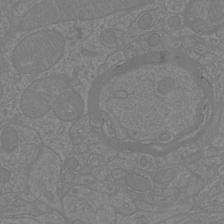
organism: Mouse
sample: Cortical neurons